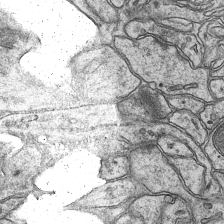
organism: Mouse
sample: CA1 Hippocampus